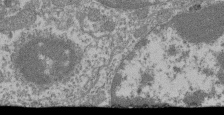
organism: Mouse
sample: Glomerulus